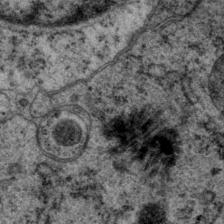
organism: P. pacificus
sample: Pharynx